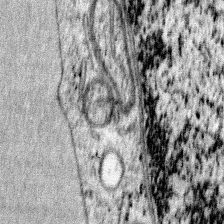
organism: Human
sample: HeLa cells